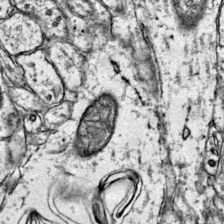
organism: Mouse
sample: Primary visual cortex